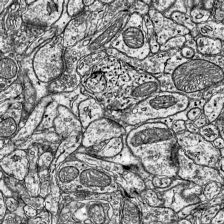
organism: Mouse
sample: Visual Cortex